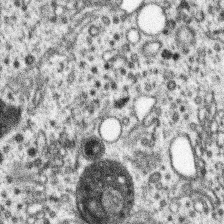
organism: Human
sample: HeLa cells